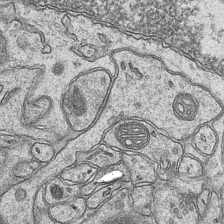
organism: Mouse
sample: CA1 Hippocampus